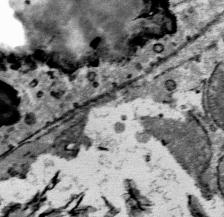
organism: Mouse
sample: Mouse Salivary gland